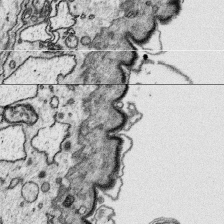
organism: Platynereis dumerilii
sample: Parapodia